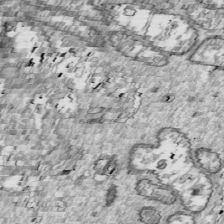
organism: Drosophila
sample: Cell division; meiosis; drosophila spermatocytes